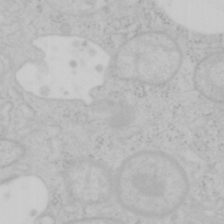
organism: Mouse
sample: OT-I killer T cells with ID8 ovarian cancer cells